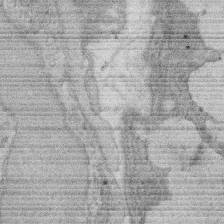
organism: Rat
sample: Salivary granule